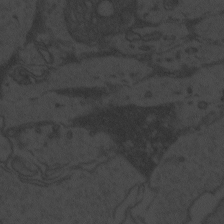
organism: Zebrafish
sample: Macrophage infected with Toxoplasma gondii